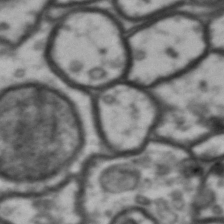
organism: Drosophila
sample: Brain